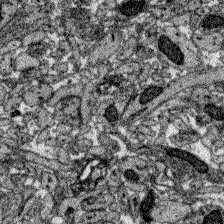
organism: Zebrafish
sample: Larval olfactory bulb